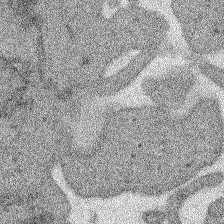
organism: Human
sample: HeLa cells